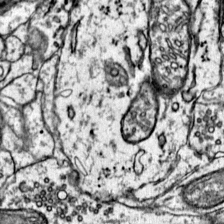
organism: Mouse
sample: Primary visual cortex